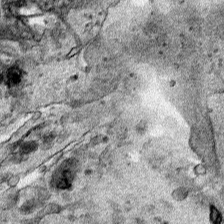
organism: Human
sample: Mitochondria in HCT116 cells